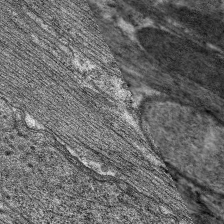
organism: C. elegans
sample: Pharynx